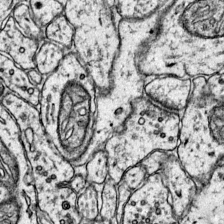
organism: Mouse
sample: Primary visual cortex